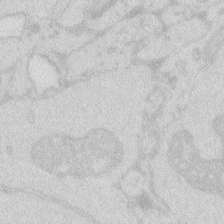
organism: Zebrafish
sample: Macrophage